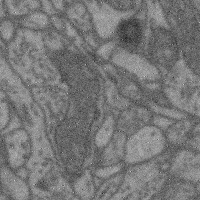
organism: Mouse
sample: Cerebral cortex